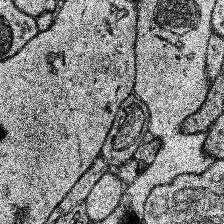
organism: Human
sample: Temporal Lobe